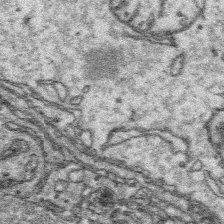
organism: Platynereis dumerilii